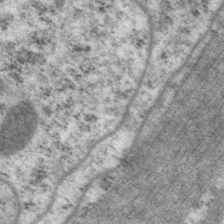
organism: P. pacificus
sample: Pharynx